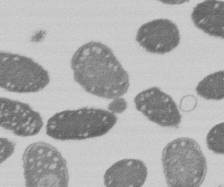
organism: E. coli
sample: Bacterial nucleoid